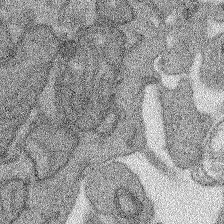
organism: Human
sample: HeLa cells